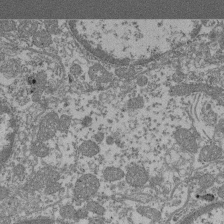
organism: Mouse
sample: Glomerulus